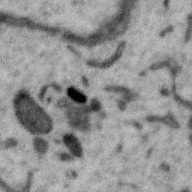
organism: Zebra finch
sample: Brain